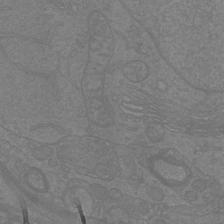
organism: Mouse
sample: Cortical neurons